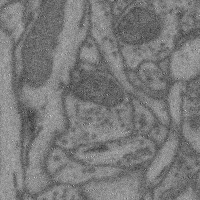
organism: Mouse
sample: Cerebral cortex